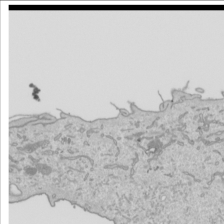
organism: Human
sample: Mitochondria in HCT116 cells